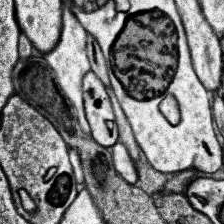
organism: Human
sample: Temporal Lobe